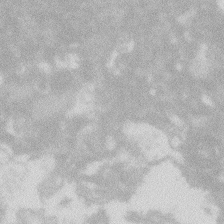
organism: Zebrafish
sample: Macrophage